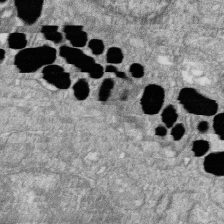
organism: Zebrafish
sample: Cilia; retinal pigment epithelium